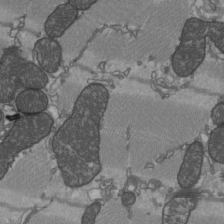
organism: C57BL Mouse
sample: Heart